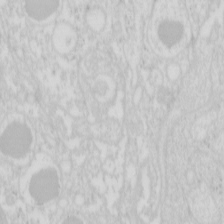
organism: Mouse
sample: Pancreas